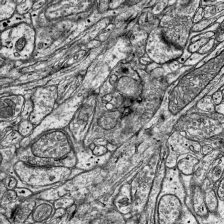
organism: Mouse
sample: Visual Cortex